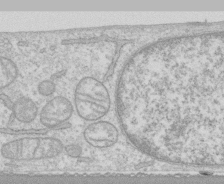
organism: Human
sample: CRL-1474